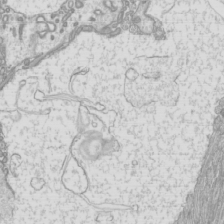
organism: Mouse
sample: Cilia; mouse epididymis